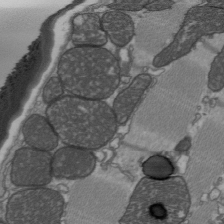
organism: C57BL Mouse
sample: Heart